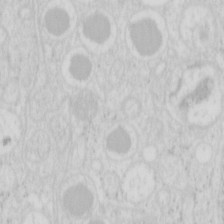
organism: Mouse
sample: Pancreas